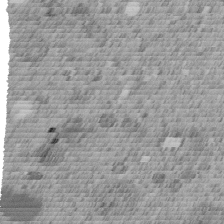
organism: C. elegans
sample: C. elegans embryo early stage